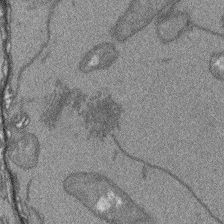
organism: Arabidopsis thaliana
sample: Root tip